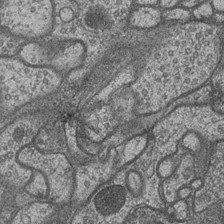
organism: Drosophila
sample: Optic medulla